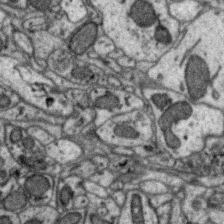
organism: Zebra finch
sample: Brain